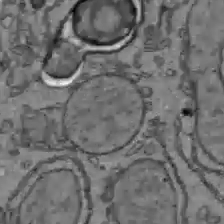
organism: C57BL Mouse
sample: Liver